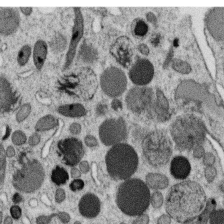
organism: C. elegans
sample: C. elegans oocyte; sperm cells